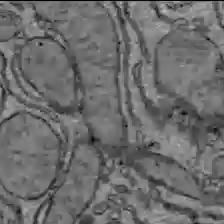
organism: C57BL Mouse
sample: Liver